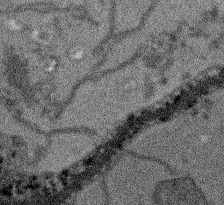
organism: Arabidopsis thaliana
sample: Root tip